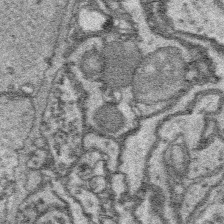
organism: Platynereis dumerilii